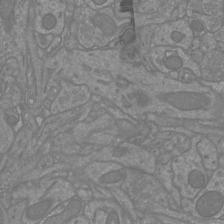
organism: Mouse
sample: Cortical neurons